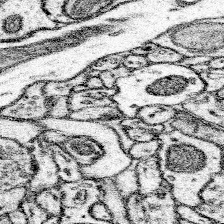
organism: Mouse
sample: Somatosensory cortex neuropil